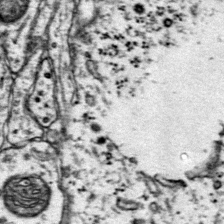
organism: Mouse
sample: Primary visual cortex